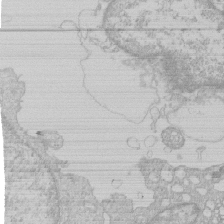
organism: Human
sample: Macrophage cells